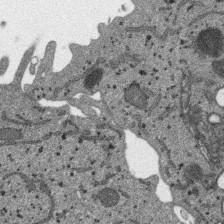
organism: Human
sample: Lung epithelial cells infected with SARS-CoV-2